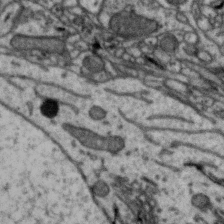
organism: Zebra finch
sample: Brain